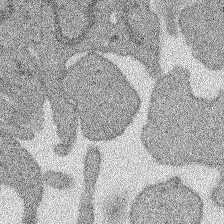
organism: Human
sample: HeLa cells